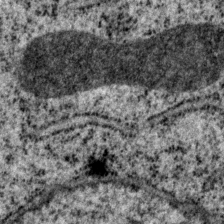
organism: P. pacificus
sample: Pharynx